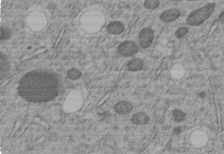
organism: C. elegans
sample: C. elegans embryo early stage